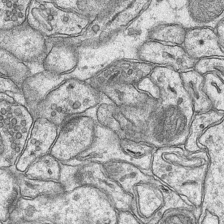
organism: Mouse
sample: CA1 Hippocampus